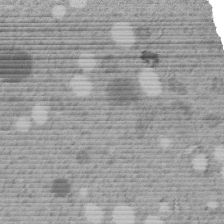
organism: C. elegans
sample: C. elegans embryo early stage